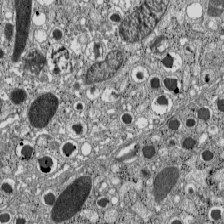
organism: C57BL Mouse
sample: Pancreatic islet